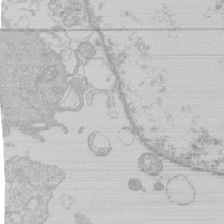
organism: Human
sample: Macrophage cells